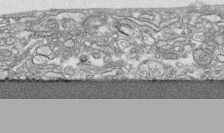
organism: Human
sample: CRL-1474